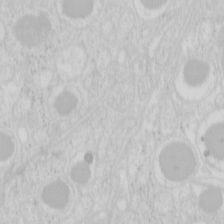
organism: Mouse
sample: Pancreas